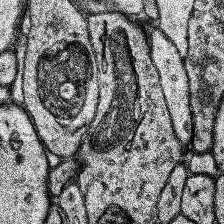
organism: Human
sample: Temporal Lobe